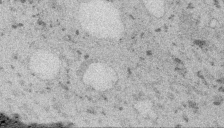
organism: Embia sp.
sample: Silk gland